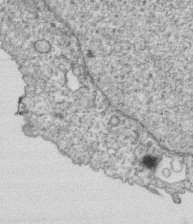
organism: Human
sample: HeLa cell HIV synapse